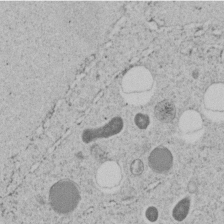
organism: C. elegans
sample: C. elegans embryo early stage